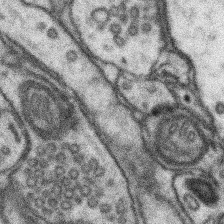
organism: Mouse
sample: Somatosensory cortex neuropil